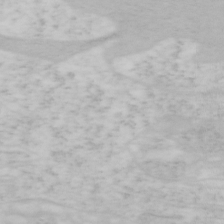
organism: Mouse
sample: OT-I killer T cells with ID8 ovarian cancer cells